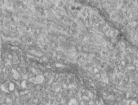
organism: Human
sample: Centriole in RPE cells